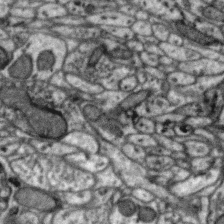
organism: Zebra finch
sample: Brain